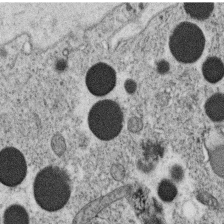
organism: C. elegans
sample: C. elegans oocyte; sperm cells